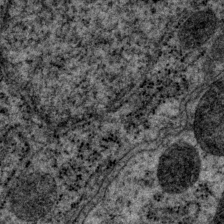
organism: P. pacificus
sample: Pharynx